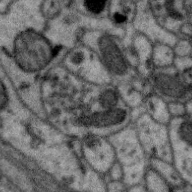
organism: Zebra finch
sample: Brain